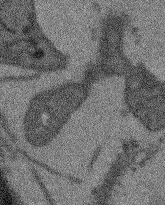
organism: Arabidopsis thaliana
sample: Root tip